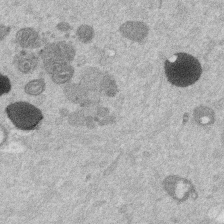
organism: Mouse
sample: Dividing mouse embryo 1 cell stage